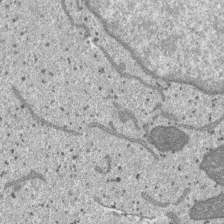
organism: Human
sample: Lung epithelial cells infected with SARS-CoV-2